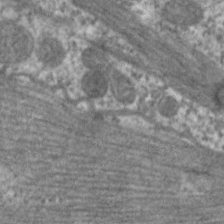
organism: C. elegans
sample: Pharynx